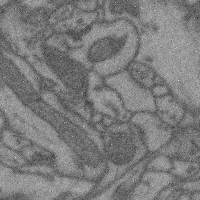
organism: Mouse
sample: Cerebral cortex